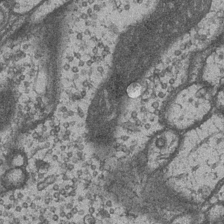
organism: Drosophila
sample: Optic medulla